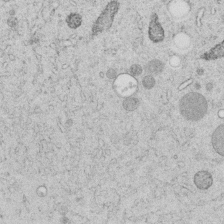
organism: C. elegans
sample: C. elegans embryo early stage